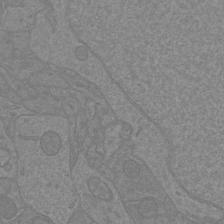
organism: Mouse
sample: Cortical neurons